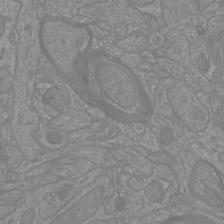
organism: Mouse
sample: Cortical neurons